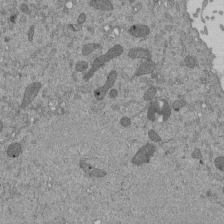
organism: Mouse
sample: ED-1 cell nuclei; centrioles